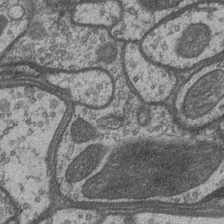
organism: Drosophila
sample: Optic medulla